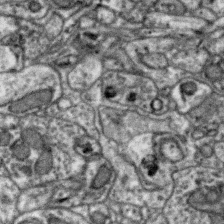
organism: Zebra finch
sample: Brain